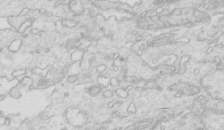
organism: Mouse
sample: Multiciliated cells